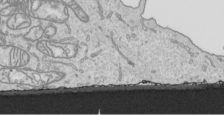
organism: Human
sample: Mitochondria in HCT116 cells